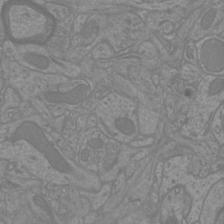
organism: Mouse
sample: Cortical neurons